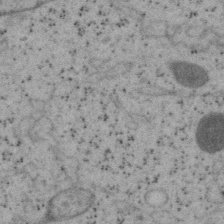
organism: Human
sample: HeLa cells